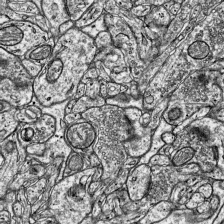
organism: Mouse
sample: Visual Cortex